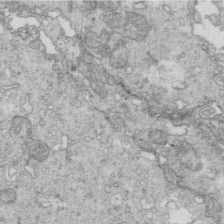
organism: Mouse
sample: Multiciliated cells